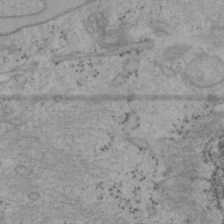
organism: Human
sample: HeLa cells